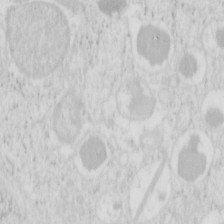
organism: Mouse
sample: Pancreas